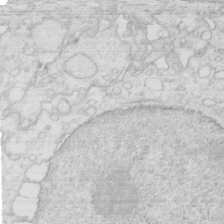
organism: Mouse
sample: Multiciliated cells